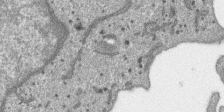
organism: Human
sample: Lung epithelial cells infected with SARS-CoV-2